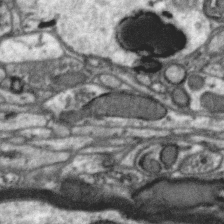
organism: Zebra finch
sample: Brain